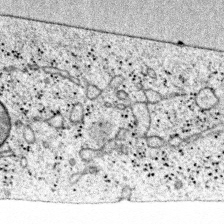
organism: Human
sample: HeLa cells